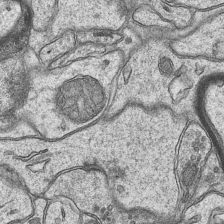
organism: Mouse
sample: CA1 Hippocampus